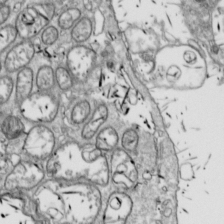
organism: Drosophila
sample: Cell division; meiosis; drosophila spermatocytes